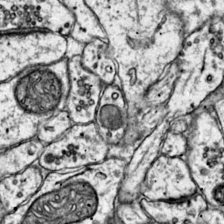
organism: Mouse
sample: Primary visual cortex